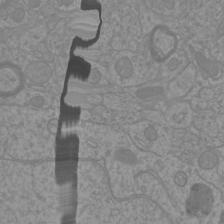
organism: Mouse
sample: Cortical neurons